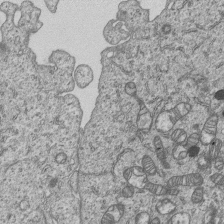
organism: Human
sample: MDA-MB-231 cells